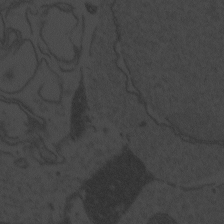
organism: Zebrafish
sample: Macrophage infected with Toxoplasma gondii